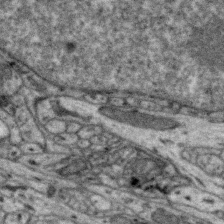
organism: Zebra finch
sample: Brain